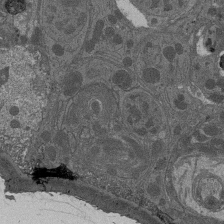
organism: Drosophila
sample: Antenna